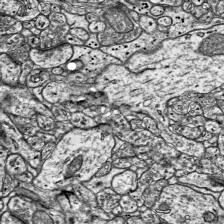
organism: Mouse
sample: Visual Cortex